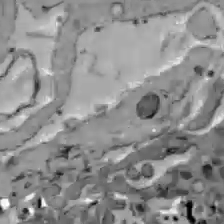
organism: C57BL Mouse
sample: Liver